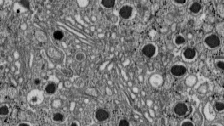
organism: C57BL Mouse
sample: Pancreatic islet